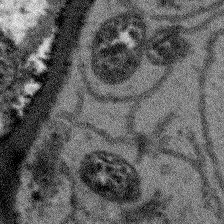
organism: Arabidopsis thaliana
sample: Root tip